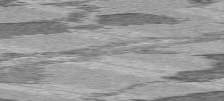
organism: C57BL Mouse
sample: Heart